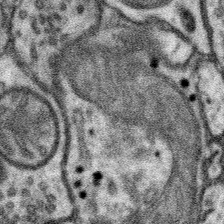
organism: Mouse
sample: Somatosensory cortex neuropil